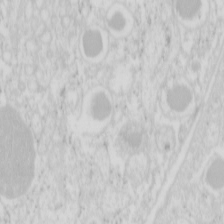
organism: Mouse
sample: Pancreas